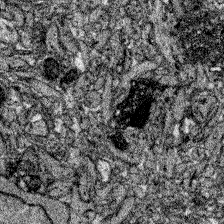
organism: Zebrafish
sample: Larval olfactory bulb